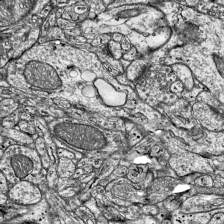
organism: Mouse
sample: Visual Cortex